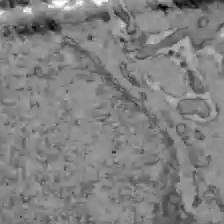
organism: C57BL Mouse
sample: Liver